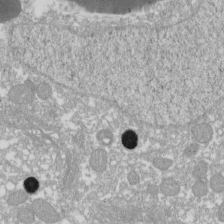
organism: Xenopus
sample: Cilia; centrioles in frog embryo cells